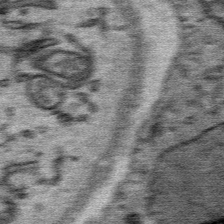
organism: Mouse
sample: Mouse Salivary gland